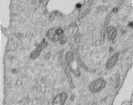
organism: Human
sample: Centriole in RPE cells